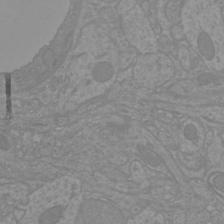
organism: Mouse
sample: Cortical neurons